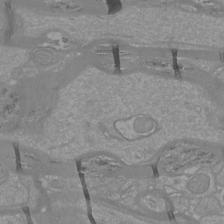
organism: Mouse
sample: Cortical neurons